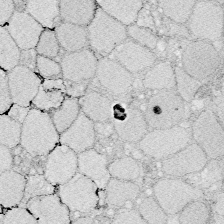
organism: Zebrafish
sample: Whole-Brain